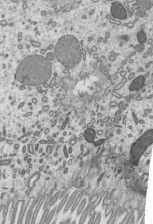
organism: Mouse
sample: Mouse epididymis efferent ductule cilia